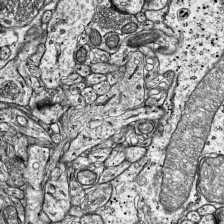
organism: Mouse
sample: Visual Cortex